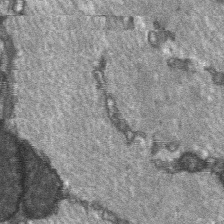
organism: C57BL Mouse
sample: Soleus